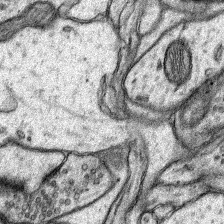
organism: Rat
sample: Hippocampus